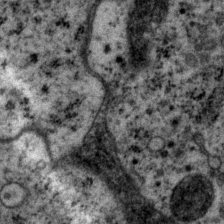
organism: P. pacificus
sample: Pharynx